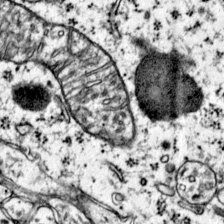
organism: Mouse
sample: Primary visual cortex